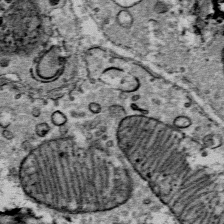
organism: Mouse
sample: Mouse Salivary gland